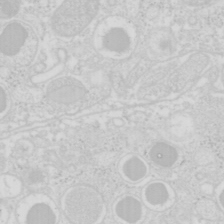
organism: Mouse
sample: Pancreas